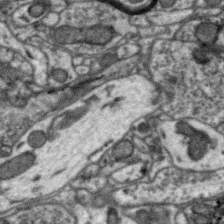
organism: Zebra finch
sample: Brain